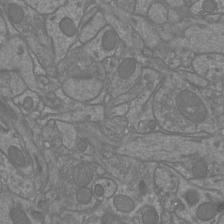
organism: Mouse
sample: Cortical neurons